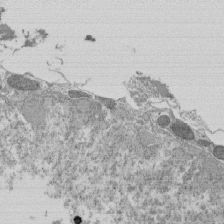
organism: Tetrahymena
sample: Cilia in tetrahymena